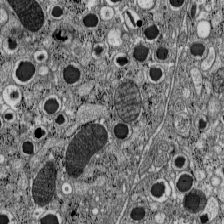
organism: C57BL Mouse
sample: Pancreatic islet